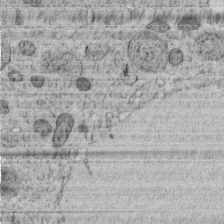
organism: C. elegans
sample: C. elegans embryo early stage